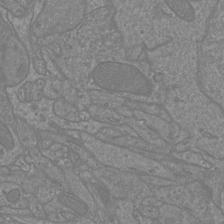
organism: Mouse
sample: Cortical neurons